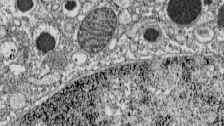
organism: C57BL Mouse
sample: Pancreatic islet